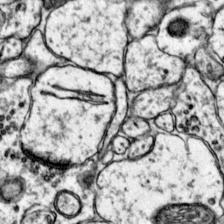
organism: Mouse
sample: Primary visual cortex